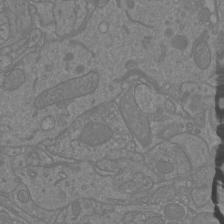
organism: Mouse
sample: Cortical neurons